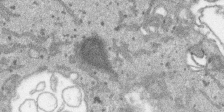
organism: Human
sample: Lung epithelial cells infected with SARS-CoV-2